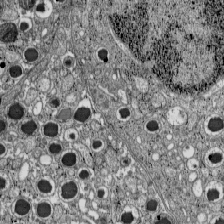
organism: C57BL Mouse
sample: Pancreatic islet